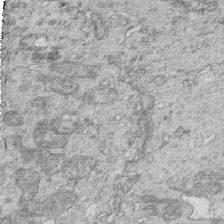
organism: Mouse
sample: Multiciliated cells